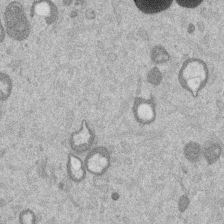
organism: Mouse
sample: Dividing mouse embryo 1 cell stage